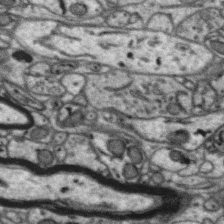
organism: Zebra finch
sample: Brain